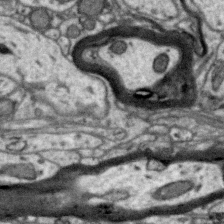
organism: Zebra finch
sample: Brain